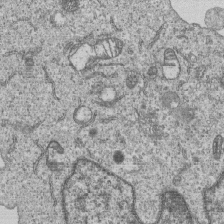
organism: Human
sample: MDA-MB-231 cells